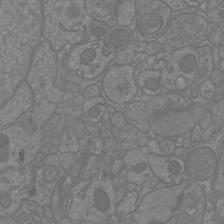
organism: Mouse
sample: Cortical neurons